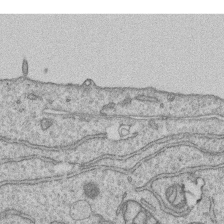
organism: Human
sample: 1205lu cells